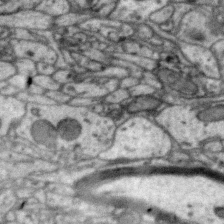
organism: Zebra finch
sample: Brain